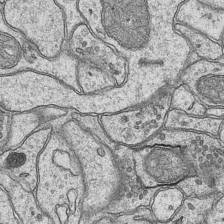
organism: Mouse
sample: CA1 Hippocampus